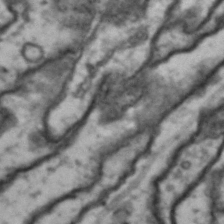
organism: Drosophila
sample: Brain